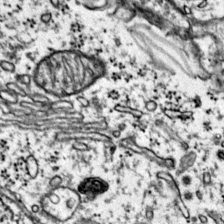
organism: Mouse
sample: Primary visual cortex